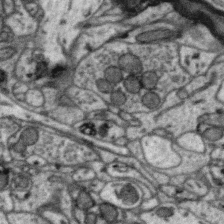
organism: Zebra finch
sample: Brain